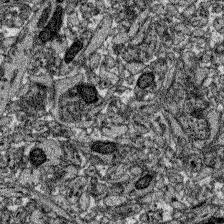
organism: Zebrafish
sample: Larval olfactory bulb